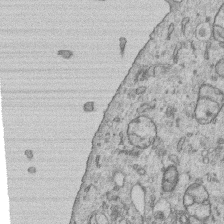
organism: Human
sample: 1205lu cells